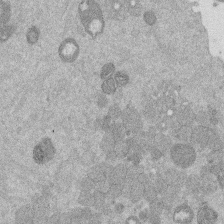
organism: Mouse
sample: Dividing mouse embryo 1 cell stage